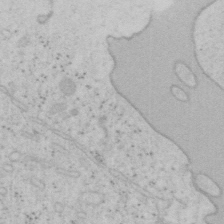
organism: Human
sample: HeLa cells